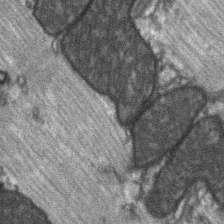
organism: C57BL Mouse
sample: Soleus